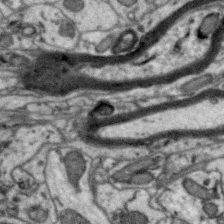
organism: Zebra finch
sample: Brain